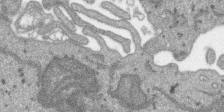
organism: Human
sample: Lung epithelial cells infected with SARS-CoV-2